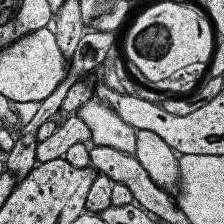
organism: Human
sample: Temporal Lobe